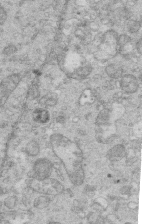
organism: Mouse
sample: Multiciliated cells